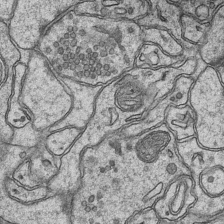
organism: Mouse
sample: CA1 Hippocampus